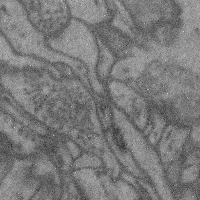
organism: Mouse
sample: Cerebral cortex